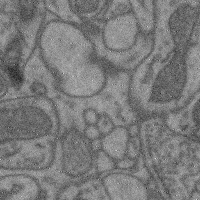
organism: Mouse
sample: Cerebral cortex